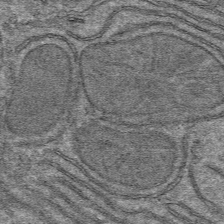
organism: Mouse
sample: Mouse hepatocytes